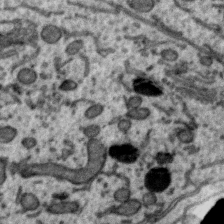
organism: Zebra finch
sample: Brain